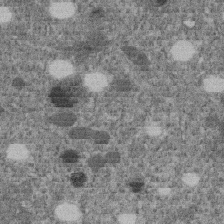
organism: C. elegans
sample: C. elegans embryo early stage